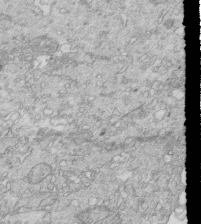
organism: Mouse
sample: Multiciliated cells